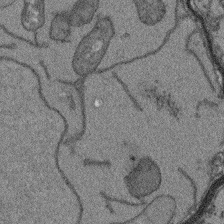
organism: Arabidopsis thaliana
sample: Root tip